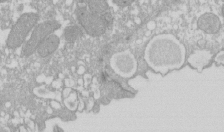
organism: Xenopus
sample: Cilia; centrioles in frog embryo cells